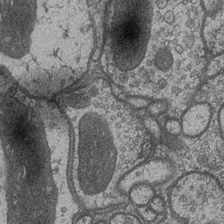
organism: Drosophila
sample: Optic medulla